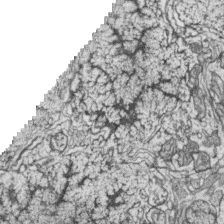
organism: Zebrafish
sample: synaptic ribbons in rod cells and cone cells